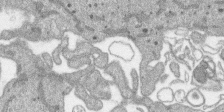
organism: Human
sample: Lung epithelial cells infected with SARS-CoV-2